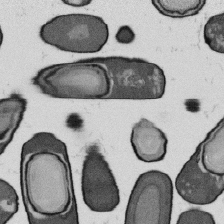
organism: B. subtilis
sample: Bacterial spore